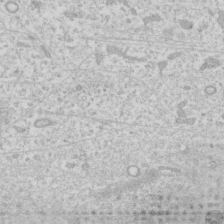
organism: Human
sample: Fibroblast cells